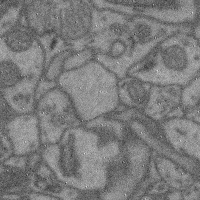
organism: Mouse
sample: Cerebral cortex